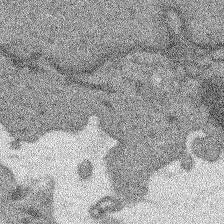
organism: Human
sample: HeLa cells